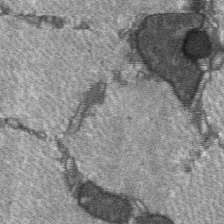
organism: C57BL Mouse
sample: Soleus